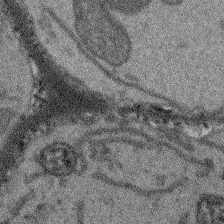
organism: Arabidopsis thaliana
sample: Root tip